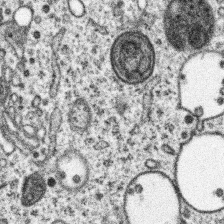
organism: Human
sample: HeLa cells